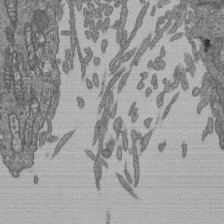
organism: Human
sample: Retinal organoid Rod and Cone cells